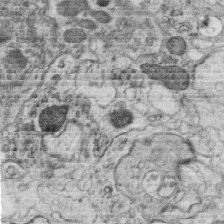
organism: C. elegans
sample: C. elegans oocyte; sperm cells